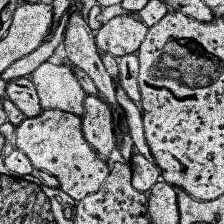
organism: Human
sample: Temporal Lobe